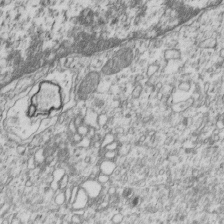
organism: Human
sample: MDA-MB-231 cells